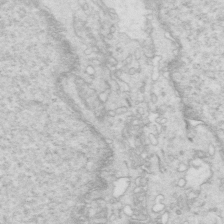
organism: Mouse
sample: Multiciliated cells